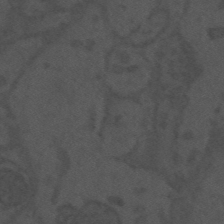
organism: Mouse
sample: Suprachiasmatic nucleus